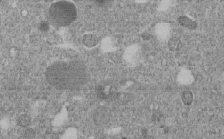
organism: C. elegans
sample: C. elegans embryo early stage